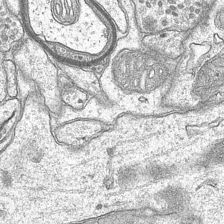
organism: Mouse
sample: CA1 Hippocampus